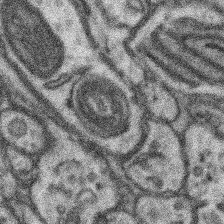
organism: Mouse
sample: Somatosensory cortex neuropil